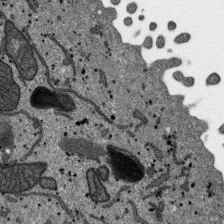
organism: Human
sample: Lung epithelial cells, uninfected (mock) control